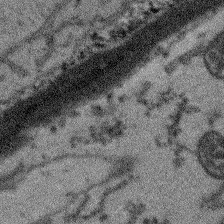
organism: Arabidopsis thaliana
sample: Root tip